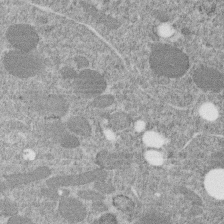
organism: C. elegans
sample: C. elegans embryo early stage